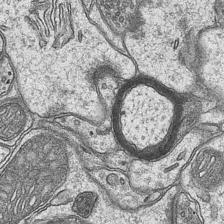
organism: Mouse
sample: CA1 Hippocampus